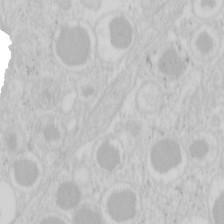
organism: Mouse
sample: Pancreas